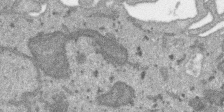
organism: Human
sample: Lung epithelial cells infected with SARS-CoV-2